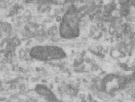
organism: Human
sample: Centriole in RPE cells